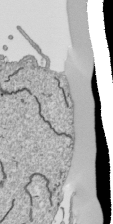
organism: Human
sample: Mitochondria in HCT116 cells